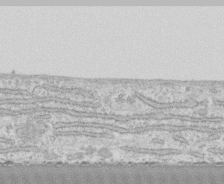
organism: Human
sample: CRL-1474